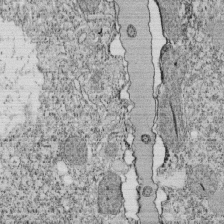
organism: Tetrahymena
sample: Cilia in tetrahymena